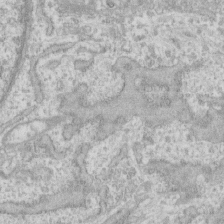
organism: Human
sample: CRL-1474